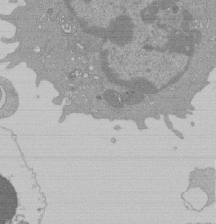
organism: Mouse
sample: Activated Pmel transgenic CD8+ T Cells